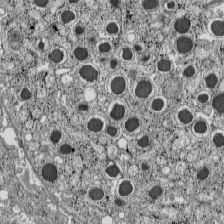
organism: C57BL Mouse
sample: Pancreatic islet